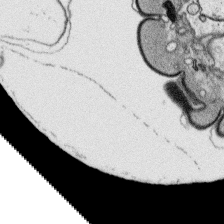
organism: Platynereis dumerilii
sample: Parapodia